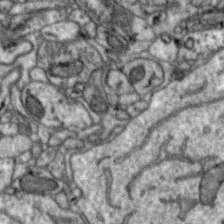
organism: Zebra finch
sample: Brain